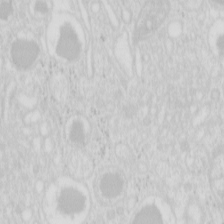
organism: Mouse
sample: Pancreas